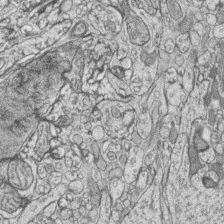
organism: Zebrafish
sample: synaptic ribbons in rod cells and cone cells